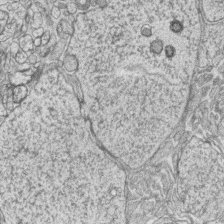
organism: Zebrafish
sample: synaptic ribbons in rod cells and cone cells